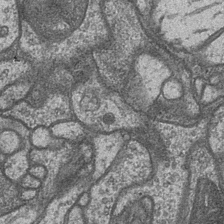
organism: Drosophila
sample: Optic medulla